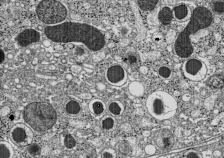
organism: C57BL Mouse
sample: Pancreatic islet